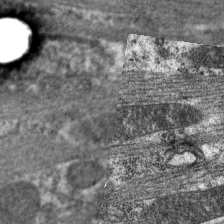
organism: C. elegans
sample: Pharynx